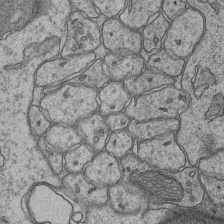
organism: Mouse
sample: CA1 Hippocampus